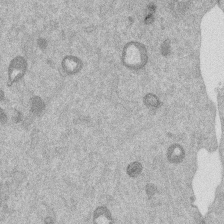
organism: Mouse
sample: Dividing mouse embryo 1 cell stage